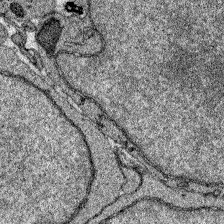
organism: Zebrafish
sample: Larval olfactory bulb